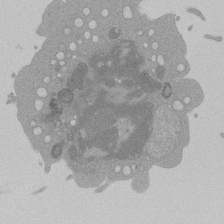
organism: Mouse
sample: Activated Pmel transgenic CD8+ T Cells